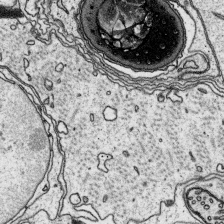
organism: Platynereis dumerilii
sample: Parapodia